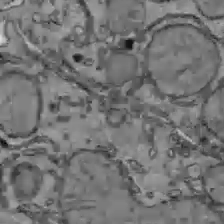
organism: C57BL Mouse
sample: Liver